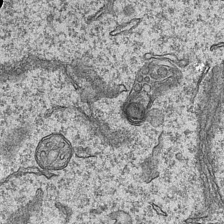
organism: Mouse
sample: CA1 Hippocampus